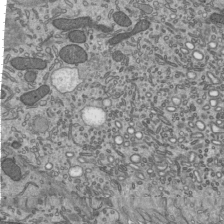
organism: Mouse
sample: Mouse epididymis efferent ductule cilia